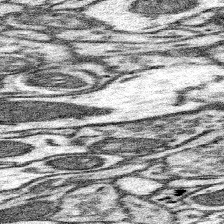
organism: Mouse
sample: Somatosensory cortex neuropil